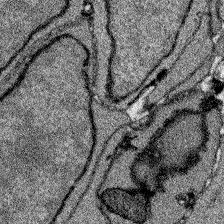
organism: Zebrafish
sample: Larval olfactory bulb